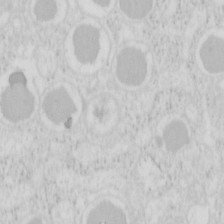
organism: Mouse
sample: Pancreas